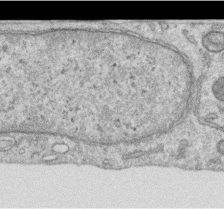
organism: Human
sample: Centriole in RPE cells